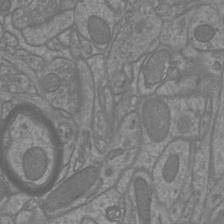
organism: Mouse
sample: Cortical neurons